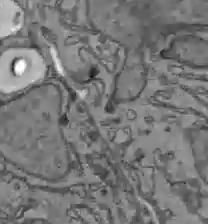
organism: C57BL Mouse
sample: Liver